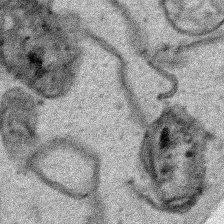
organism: Human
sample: Mitochondria in HCT116 cells